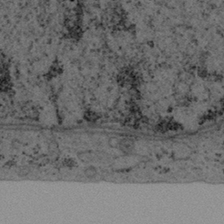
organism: Human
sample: HeLa cells